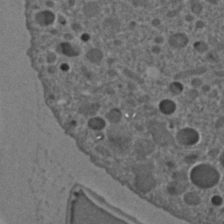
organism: C. elegans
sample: C. elegans embryo